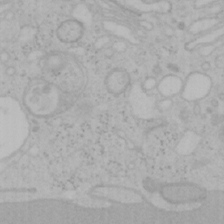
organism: Mouse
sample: OT-I killer T cells with ID8 ovarian cancer cells